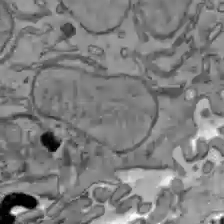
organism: C57BL Mouse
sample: Liver